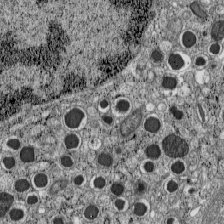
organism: C57BL Mouse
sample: Pancreatic islet